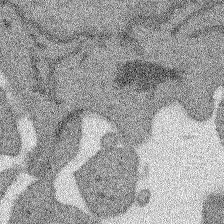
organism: Human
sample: HeLa cells